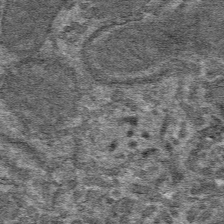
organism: Mouse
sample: Mouse hepatocytes